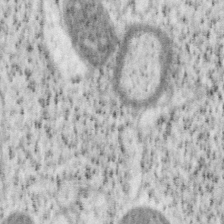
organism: Mouse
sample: OT-I killer T cells with ID8 ovarian cancer cells